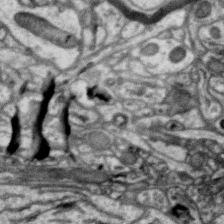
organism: Zebra finch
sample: Brain